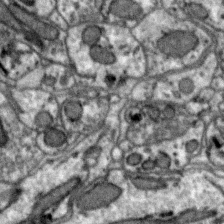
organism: Zebra finch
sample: Brain